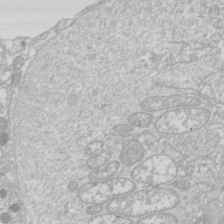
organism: Drosophila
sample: Cell division; meiosis; drosophila spermatocytes